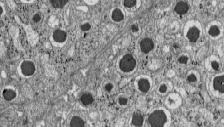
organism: C57BL Mouse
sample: Pancreatic islet